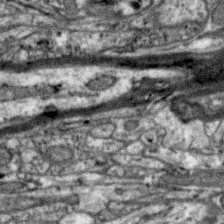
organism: Zebra finch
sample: Brain